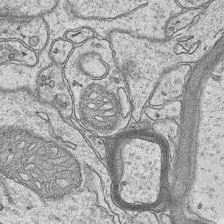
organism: Mouse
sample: CA1 Hippocampus